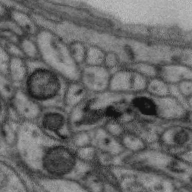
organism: Zebra finch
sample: Brain